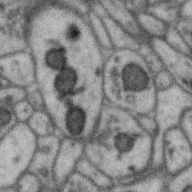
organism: Zebra finch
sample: Brain